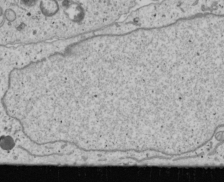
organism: Human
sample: Mitochondria in U2OS cells